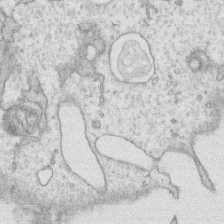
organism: Human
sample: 1205lu cells